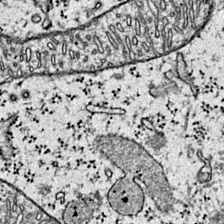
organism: Mouse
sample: Primary visual cortex